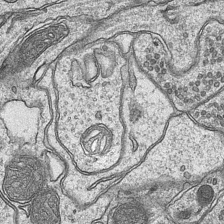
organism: Mouse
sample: CA1 Hippocampus